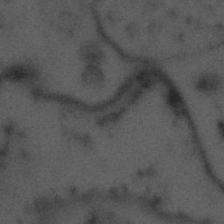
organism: Tuwongella immobilis